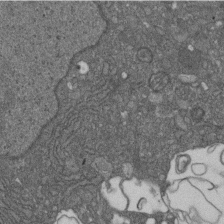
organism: Drosophila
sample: Nephrocyte